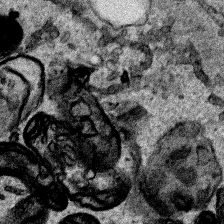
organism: Human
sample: Mitochondria in HCT116 cells